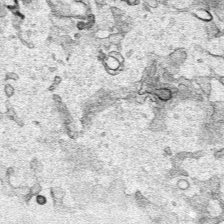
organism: Human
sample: Mitochondria in HCT116 cells